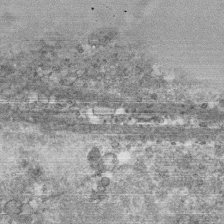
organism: Human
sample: CRL-1474